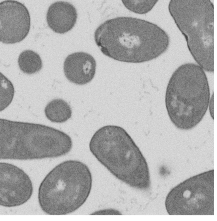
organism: B. subtilis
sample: Bacterial spore